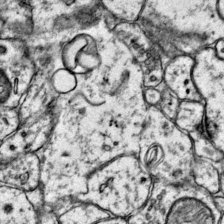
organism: Mouse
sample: Primary visual cortex